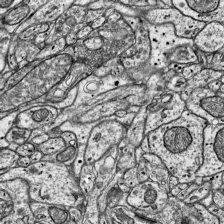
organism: Mouse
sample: Visual Cortex